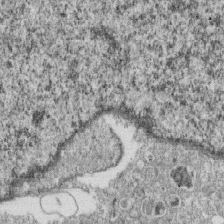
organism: African green monkey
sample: Vero E6 cells infected with SARS-CoV-2